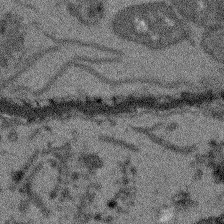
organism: Arabidopsis thaliana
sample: Root tip